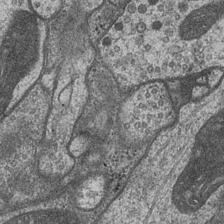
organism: Drosophila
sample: Optic medulla